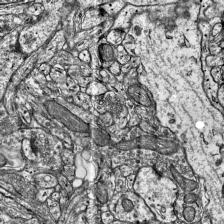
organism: Mouse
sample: Visual Cortex